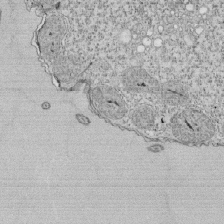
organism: Tetrahymena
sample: Cilia in tetrahymena